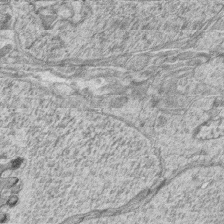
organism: Zebrafish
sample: synaptic ribbons in rod cells and cone cells